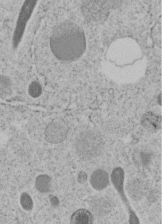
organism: C. elegans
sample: C. elegans embryo early stage